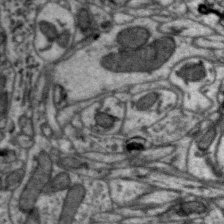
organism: Zebra finch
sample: Brain